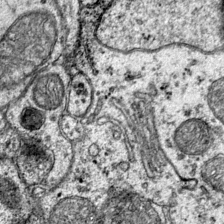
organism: Mouse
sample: Primary visual cortex